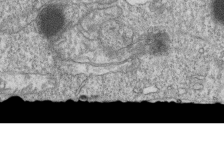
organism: Human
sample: HeLa cell HIV synapse